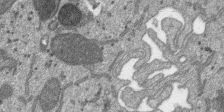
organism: Human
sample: Lung epithelial cells infected with SARS-CoV-2